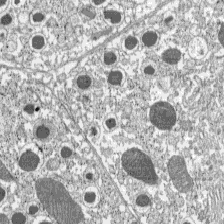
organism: C57BL Mouse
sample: Pancreatic islet